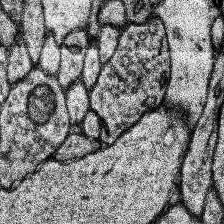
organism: Human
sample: Temporal Lobe